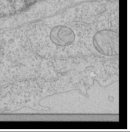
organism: Human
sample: Mitochondria in HCT116 cells